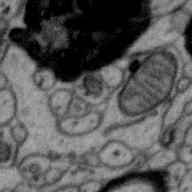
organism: Zebra finch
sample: Brain